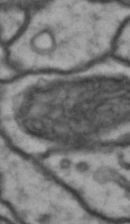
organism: Drosophila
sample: Brain